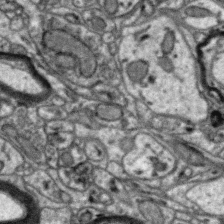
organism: Zebra finch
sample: Brain